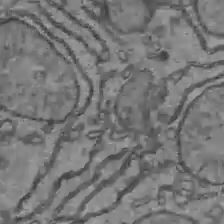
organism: C57BL Mouse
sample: Liver